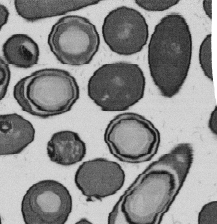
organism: B. subtilis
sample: Bacterial spore